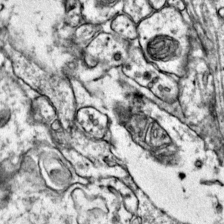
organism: Mouse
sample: Primary visual cortex